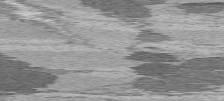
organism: C57BL Mouse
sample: Heart